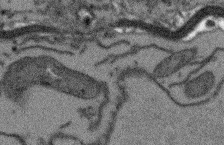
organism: Arabidopsis thaliana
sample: Root tip